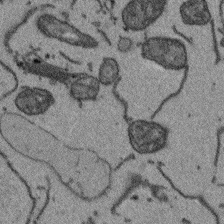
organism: Arabidopsis thaliana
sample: Root tip